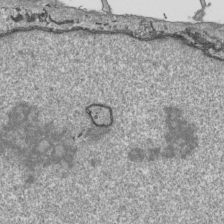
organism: Human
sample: Mitochondria in HCT116 cells